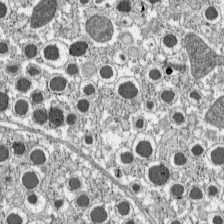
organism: C57BL Mouse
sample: Pancreatic islet